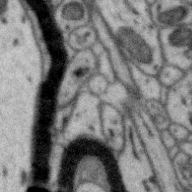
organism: Zebra finch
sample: Brain